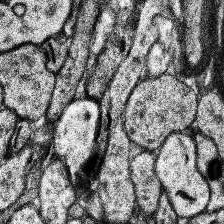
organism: Human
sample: Temporal Lobe